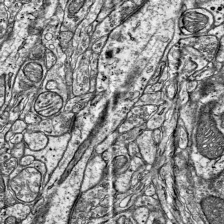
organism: Mouse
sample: Visual Cortex